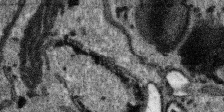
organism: Human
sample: Lung epithelial cells infected with SARS-CoV-2